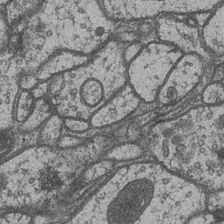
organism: Drosophila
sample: Optic medulla